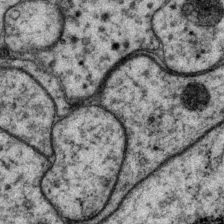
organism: P. pacificus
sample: Pharynx